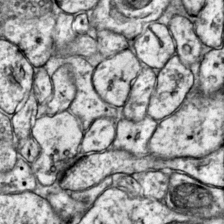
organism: Mouse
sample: Primary visual cortex